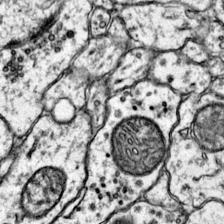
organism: Mouse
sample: Primary visual cortex